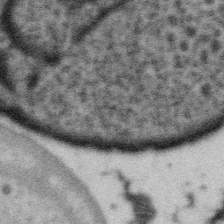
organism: Gemmata obscuriglobus